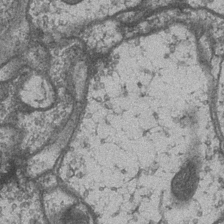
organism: Drosophila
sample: Optic medulla